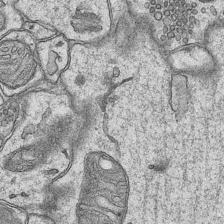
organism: Mouse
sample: CA1 Hippocampus